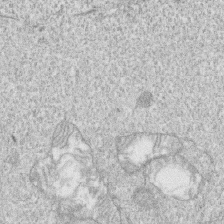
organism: Human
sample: HeLa cell HIV synapse